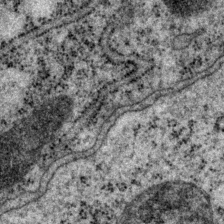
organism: P. pacificus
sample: Pharynx